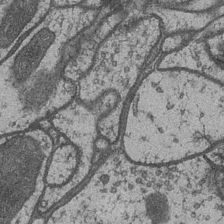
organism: Drosophila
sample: Optic medulla